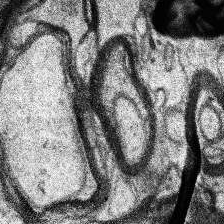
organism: Human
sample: Temporal Lobe